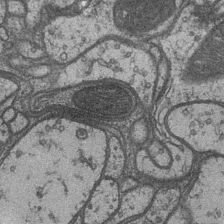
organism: Drosophila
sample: Optic medulla